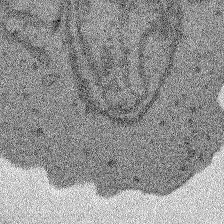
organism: Human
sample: HeLa cells